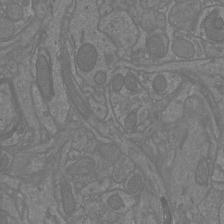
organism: Mouse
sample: Cortical neurons